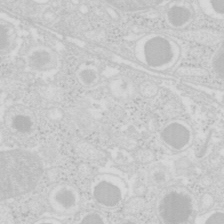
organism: Mouse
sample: Pancreas